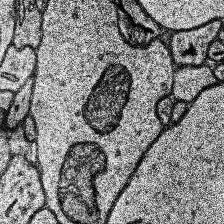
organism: Human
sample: Temporal Lobe